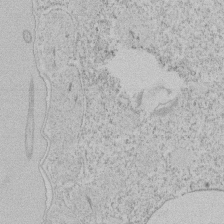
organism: Tetrahymena